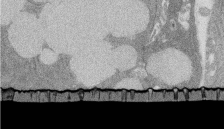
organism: Rat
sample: Salivary granule